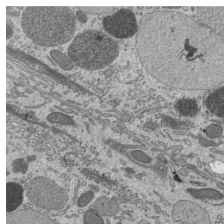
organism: Mouse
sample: Mouse epididymis efferent ductule cilia